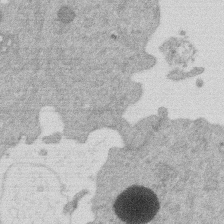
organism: Mouse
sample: Dividing mouse embryo 1 cell stage